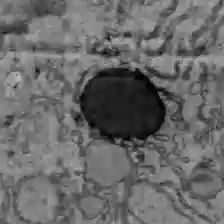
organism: C57BL Mouse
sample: Liver